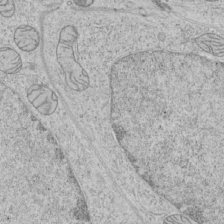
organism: Human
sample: Mitochondria in HCT116 cells